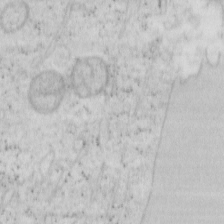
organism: Human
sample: HeLa cells